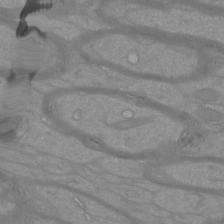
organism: Mouse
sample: Cortical neurons